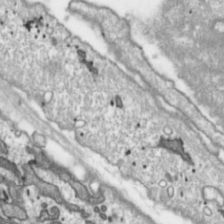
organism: Toxoplasma gondii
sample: Parasites in a vacuole inside a host cell